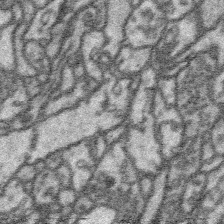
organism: Platynereis dumerilii